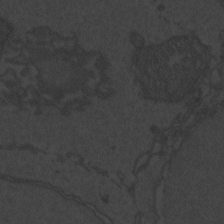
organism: Zebrafish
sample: Macrophage infected with Toxoplasma gondii